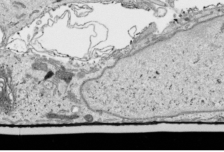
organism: Human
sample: Mitochondria in HCT116 cells